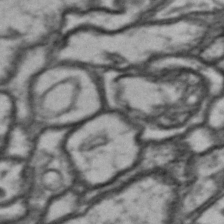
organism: Drosophila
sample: Brain